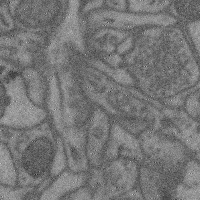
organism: Mouse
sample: Cerebral cortex